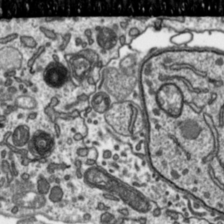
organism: Toxoplasma gondii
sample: Parasites in a vacuole inside a host cell